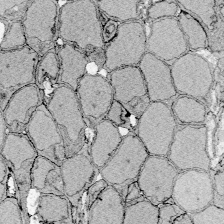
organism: Zebrafish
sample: Whole-Brain